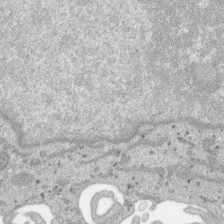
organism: Human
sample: Lung epithelial cells infected with SARS-CoV-2